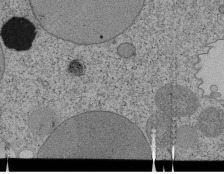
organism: Tetrahymena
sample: Cilia in tetrahymena